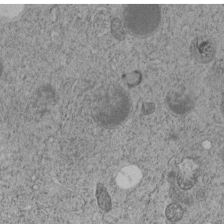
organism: C. elegans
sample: C. elegans embryo early stage